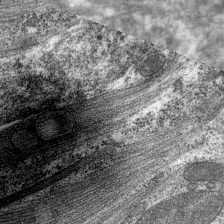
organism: C. elegans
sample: Pharynx